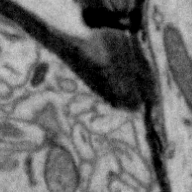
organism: Zebra finch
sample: Brain